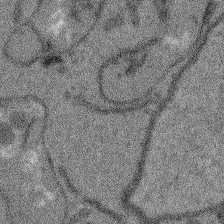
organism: Arabidopsis thaliana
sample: Root tip